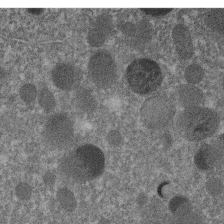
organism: C. elegans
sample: C. elegans embryo early stage